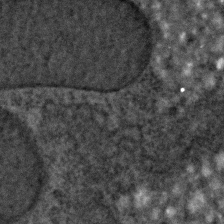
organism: C. elegans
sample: C. elegans embryo